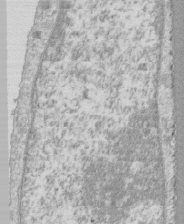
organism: Human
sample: CRL-1474